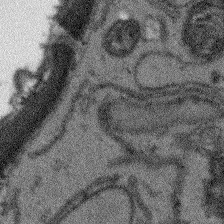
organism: Arabidopsis thaliana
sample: Root tip